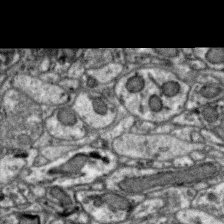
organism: Zebra finch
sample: Brain